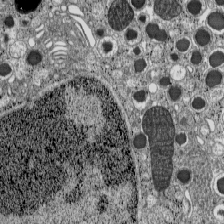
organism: C57BL Mouse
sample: Pancreatic islet